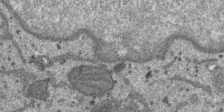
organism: Human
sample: Lung epithelial cells infected with SARS-CoV-2